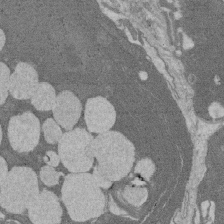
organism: Rat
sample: Salivary granule